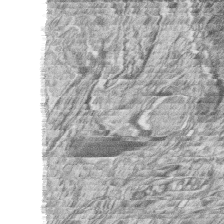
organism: Zebrafish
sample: synaptic ribbons in rod cells and cone cells